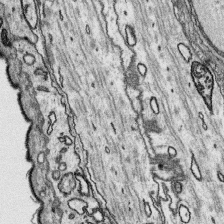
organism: Platynereis dumerilii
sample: Parapodia